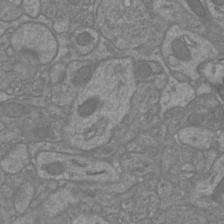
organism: Mouse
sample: Cortical neurons